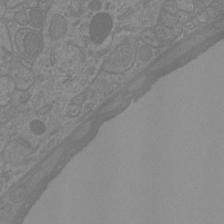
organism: Mouse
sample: Cortical neurons